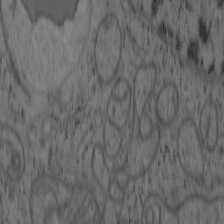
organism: Human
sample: HeLa cells